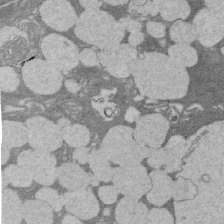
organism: Rat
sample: Salivary granule